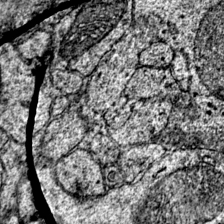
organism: Mouse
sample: Primary visual cortex